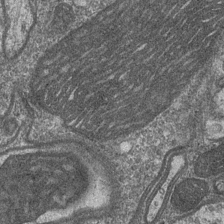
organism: Drosophila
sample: Optic medulla